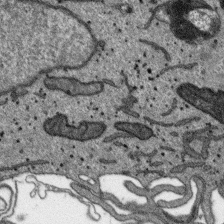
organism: Human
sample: Lung epithelial cells, uninfected (mock) control